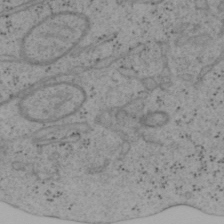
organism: Human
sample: HeLa cells